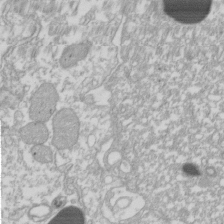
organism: Xenopus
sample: Cilia; centrioles in frog embryo cells